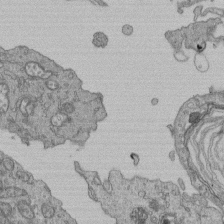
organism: Human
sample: Retinal organoid Rod and Cone cells